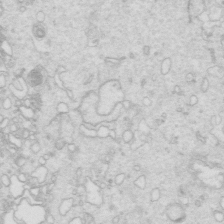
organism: Mouse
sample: Multiciliated cells